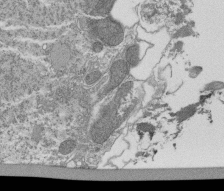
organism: Tetrahymena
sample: Cilia in tetrahymena